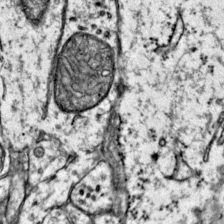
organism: Mouse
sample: Primary visual cortex